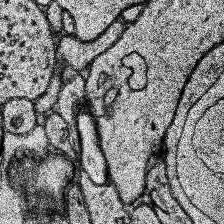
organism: Human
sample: Temporal Lobe